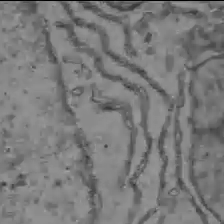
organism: C57BL Mouse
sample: Liver